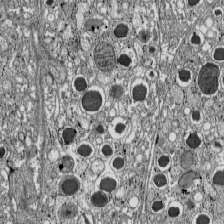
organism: C57BL Mouse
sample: Pancreatic islet